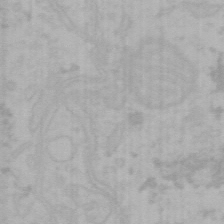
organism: Mouse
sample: Choroid plexus